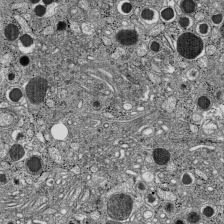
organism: C57BL Mouse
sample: Pancreatic islet